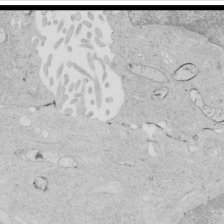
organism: Human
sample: Mitochondria in HCT116 cells